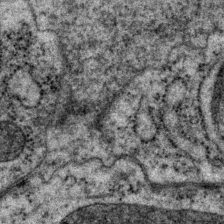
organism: P. pacificus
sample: Pharynx